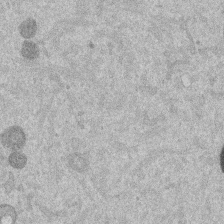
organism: Mouse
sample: Dividing mouse embryo 1 cell stage